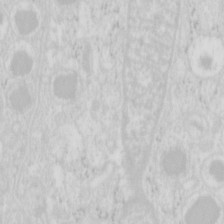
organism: Mouse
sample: Pancreas